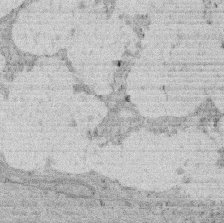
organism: Rat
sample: Salivary granule